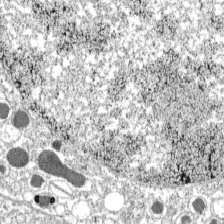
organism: C57BL Mouse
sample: Pancreatic islet